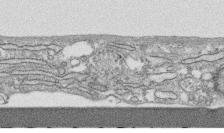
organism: Human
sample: CRL-1474